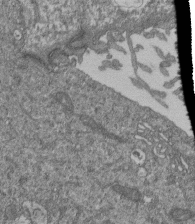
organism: Human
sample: Retinal organoid Rod and Cone cells